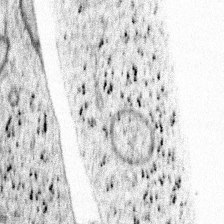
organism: Human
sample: HeLa cells